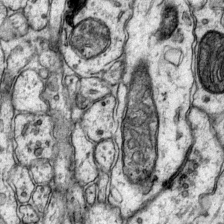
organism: Mouse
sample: Primary visual cortex